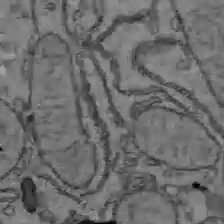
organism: C57BL Mouse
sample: Liver